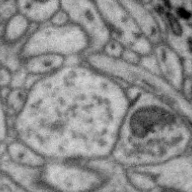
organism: Zebra finch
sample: Brain